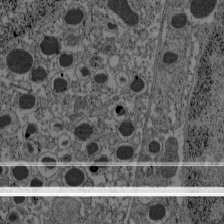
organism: C57BL Mouse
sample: Pancreatic islet